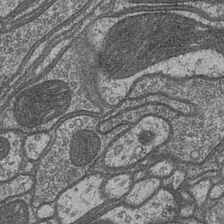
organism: Drosophila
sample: Optic medulla